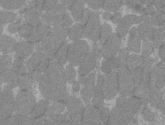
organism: C57BL Mouse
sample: Tibialis anterior muscle cell